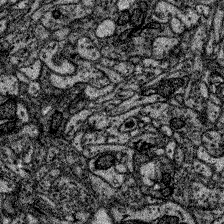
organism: Zebrafish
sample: Larval olfactory bulb